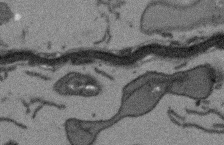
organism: Arabidopsis thaliana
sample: Root tip